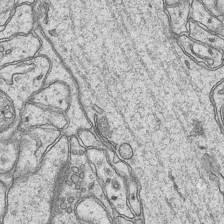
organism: Mouse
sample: CA1 Hippocampus